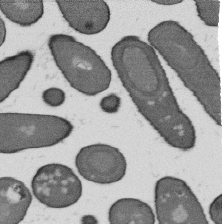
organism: B. subtilis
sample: Bacterial spore